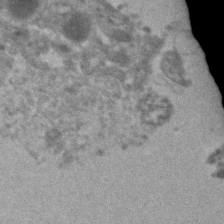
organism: Human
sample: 1205lu cells